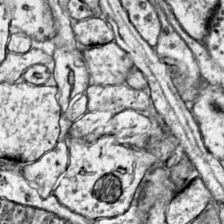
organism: Mouse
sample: Primary visual cortex